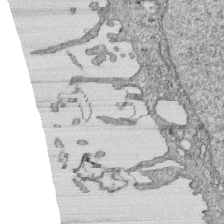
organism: Human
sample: HeLa cell HIV synapse